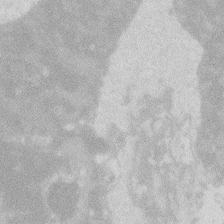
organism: Zebrafish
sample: Macrophage